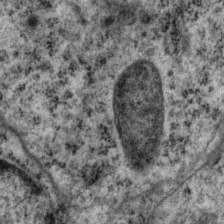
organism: P. pacificus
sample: Pharynx